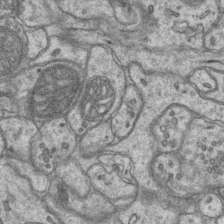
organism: Mouse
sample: CA1 Hippocampus